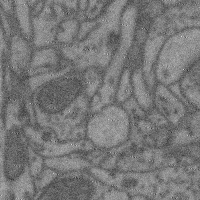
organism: Mouse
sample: Cerebral cortex